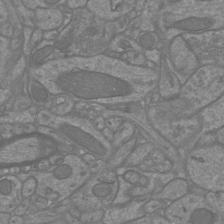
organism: Mouse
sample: Cortical neurons